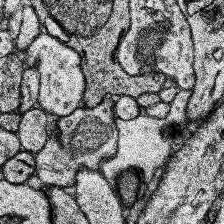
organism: Human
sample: Temporal Lobe